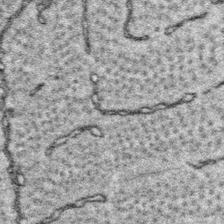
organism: Platynereis dumerilii